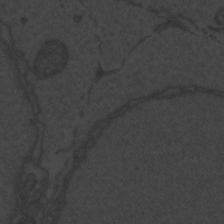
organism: Zebrafish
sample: Macrophage infected with Toxoplasma gondii